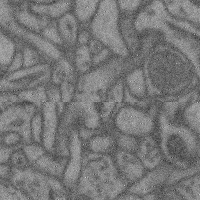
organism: Mouse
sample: Cerebral cortex